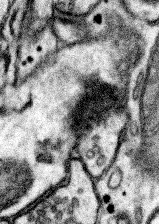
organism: Mouse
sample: Somatosensory cortex neuropil